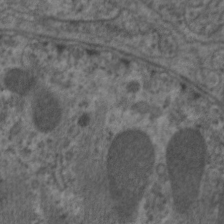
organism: C. elegans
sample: Pharynx